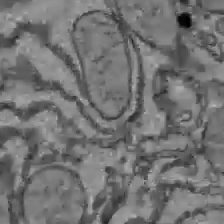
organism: C57BL Mouse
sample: Liver